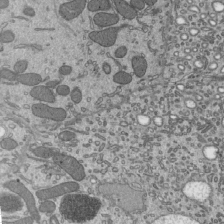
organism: Mouse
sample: Mouse epididymis efferent ductule cilia